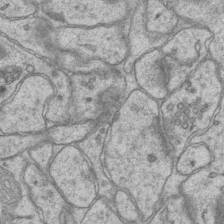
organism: Mouse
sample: CA1 Hippocampus